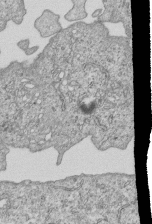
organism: Human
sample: MDA-MB-231 cells